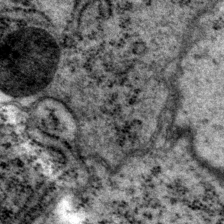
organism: P. pacificus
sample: Pharynx